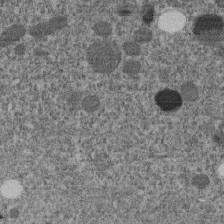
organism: C. elegans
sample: C. elegans embryo early stage